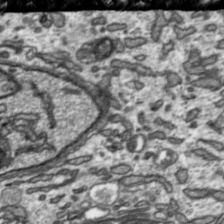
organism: Toxoplasma gondii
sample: Parasites in a vacuole inside a host cell